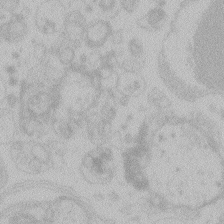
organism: Zebrafish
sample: Macrophage infected with Toxoplasma gondii